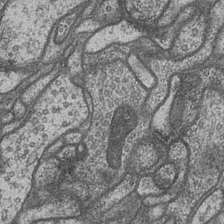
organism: Drosophila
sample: Optic medulla